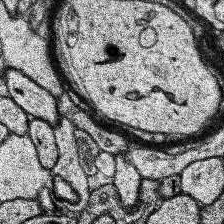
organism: Human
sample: Temporal Lobe